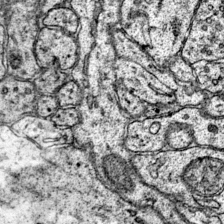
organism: Mouse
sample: Primary visual cortex